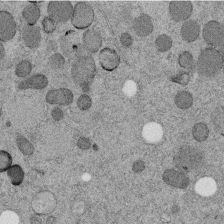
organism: C. elegans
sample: C. elegans embryo early stage